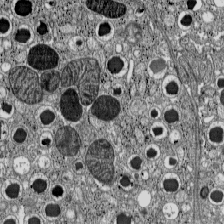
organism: C57BL Mouse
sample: Pancreatic islet